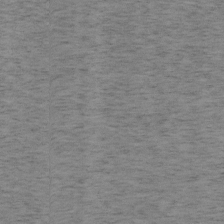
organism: Mouse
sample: OT-I killer T cells with ID8 ovarian cancer cells